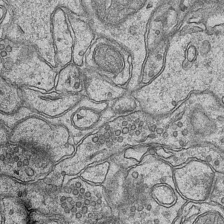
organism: Mouse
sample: CA1 Hippocampus